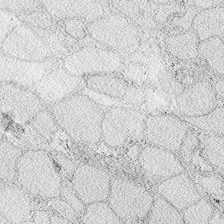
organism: Zebrafish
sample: Whole-Brain